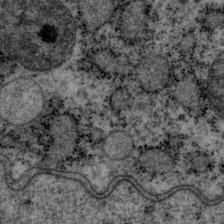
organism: P. pacificus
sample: Pharynx